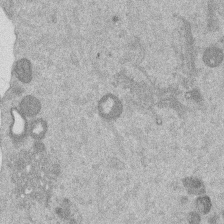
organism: Mouse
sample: Dividing mouse embryo 1 cell stage